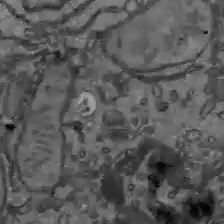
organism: C57BL Mouse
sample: Liver